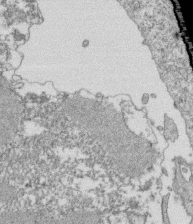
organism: Human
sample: HeLa cell HIV synapse